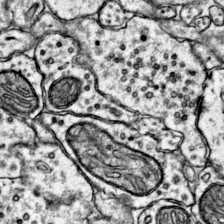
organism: Mouse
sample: Primary visual cortex